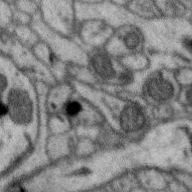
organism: Zebra finch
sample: Brain